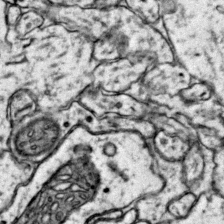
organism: Mouse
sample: Primary visual cortex